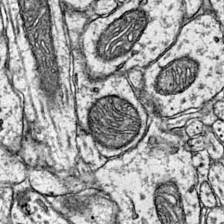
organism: Mouse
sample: Primary visual cortex